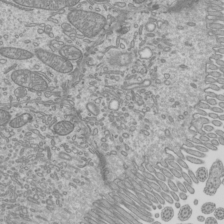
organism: Mouse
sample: Cilia; mouse epididymis